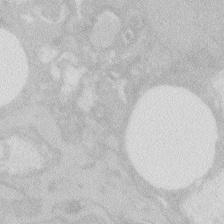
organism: Zebrafish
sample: Macrophage